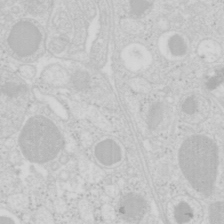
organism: Mouse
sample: Pancreas